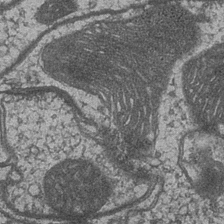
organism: Drosophila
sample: Optic medulla